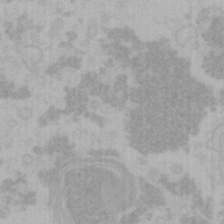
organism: Mouse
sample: Choroid plexus